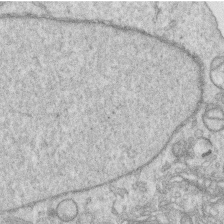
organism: Human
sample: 1205lu cells